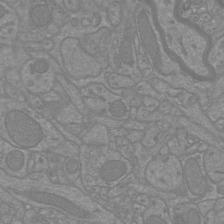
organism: Mouse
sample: Cortical neurons